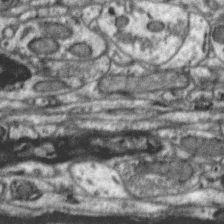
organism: Zebra finch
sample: Brain